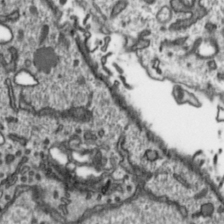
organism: Toxoplasma gondii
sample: Parasites in a vacuole inside a host cell